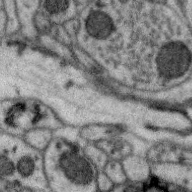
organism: Zebra finch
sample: Brain